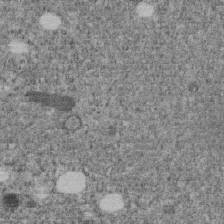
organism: C. elegans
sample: C. elegans embryo early stage